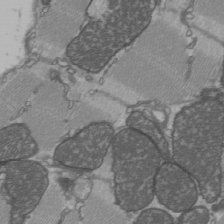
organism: C57BL Mouse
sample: Heart